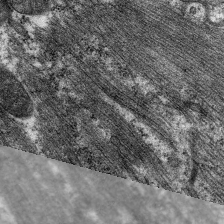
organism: C. elegans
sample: Pharynx